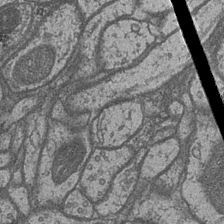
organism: Drosophila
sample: Optic medulla